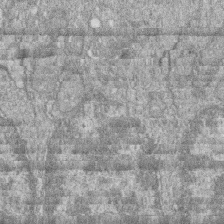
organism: Zebrafish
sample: Cilia; retinal pigment epithelium